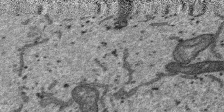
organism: Human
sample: Lung epithelial cells infected with SARS-CoV-2